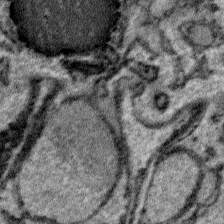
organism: Plasmodium falciparum